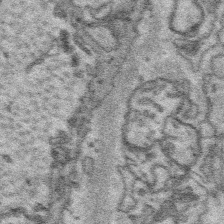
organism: Platynereis dumerilii